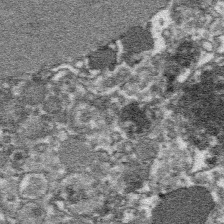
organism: Platynereis dumerilii